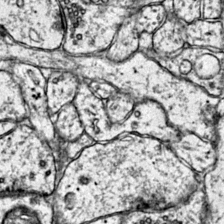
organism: Mouse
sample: Primary visual cortex